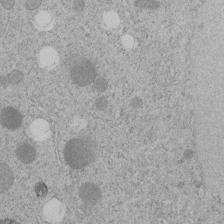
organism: C. elegans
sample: C. elegans embryo early stage